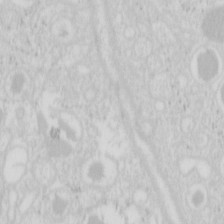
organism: Mouse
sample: Pancreas